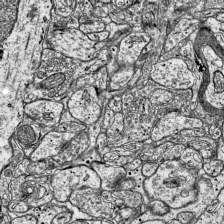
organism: Mouse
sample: Visual Cortex